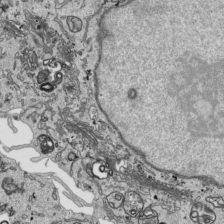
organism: Human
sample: Mitochondria in HCT116 cells